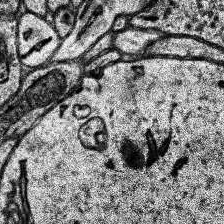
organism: Human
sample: Temporal Lobe